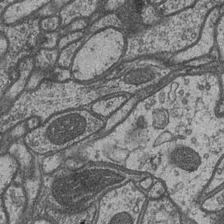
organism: Drosophila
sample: Optic medulla